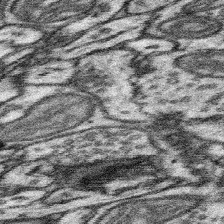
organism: Mouse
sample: Somatosensory cortex neuropil